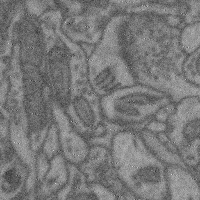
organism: Mouse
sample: Cerebral cortex